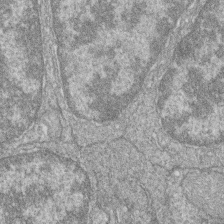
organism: Zebrafish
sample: Cilia; retinal pigment epithelium